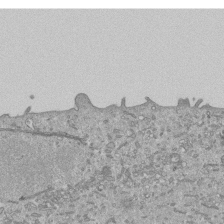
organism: Mouse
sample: ED-1 cell nuclei; centrioles